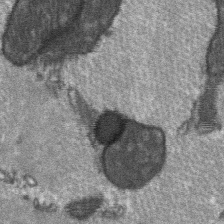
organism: C57BL Mouse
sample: Soleus